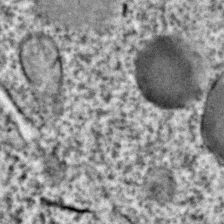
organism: C. elegans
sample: C. elegans embryo